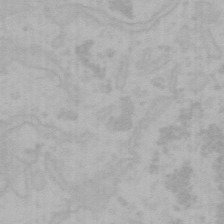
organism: Mouse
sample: Choroid plexus